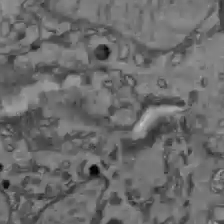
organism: C57BL Mouse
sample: Liver